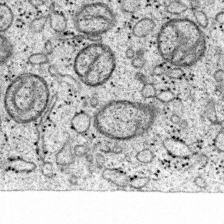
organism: Human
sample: HeLa cells